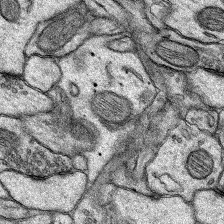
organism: Rat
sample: Hippocampus